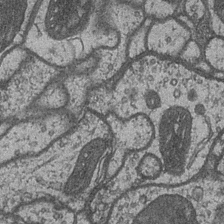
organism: Drosophila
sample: Optic medulla